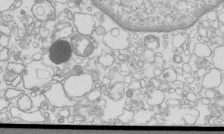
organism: Mouse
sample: Macrophages